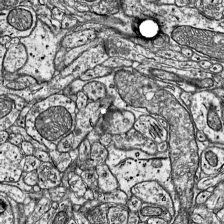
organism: Mouse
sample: Visual Cortex